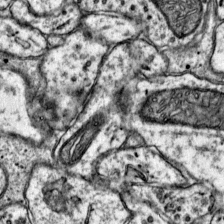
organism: Mouse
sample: Primary visual cortex